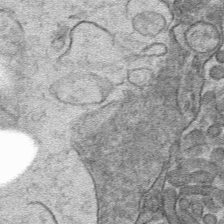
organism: Mouse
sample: Mouse hepatocytes